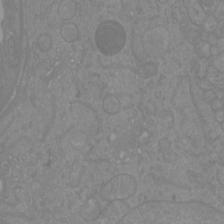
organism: Mouse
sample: Cortical neurons